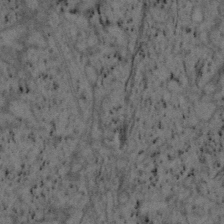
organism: Human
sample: HeLa cells